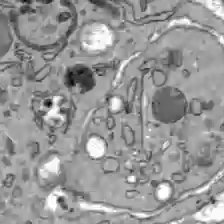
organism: C57BL Mouse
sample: Liver